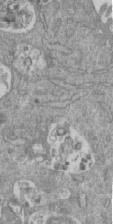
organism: Mouse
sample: ED-1 cell nuclei; centrioles